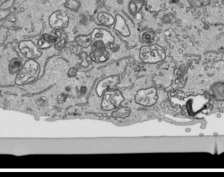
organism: Human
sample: Mitochondria in HCT116 cells